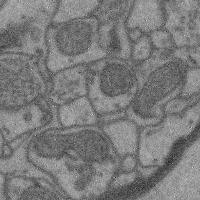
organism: Mouse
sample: Cerebral cortex